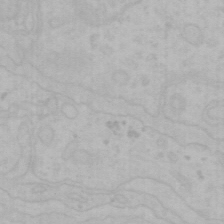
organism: Mouse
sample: Choroid plexus